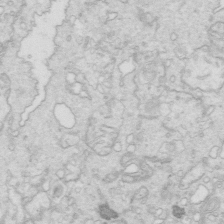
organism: Mouse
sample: Multiciliated cells